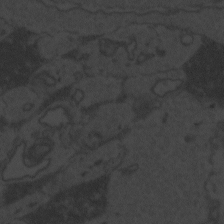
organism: Zebrafish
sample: Macrophage infected with Toxoplasma gondii